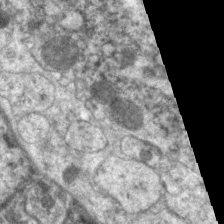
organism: C. elegans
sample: Pharynx